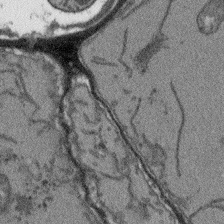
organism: Arabidopsis thaliana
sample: Root tip